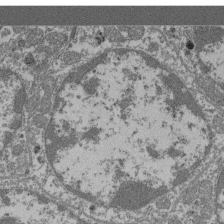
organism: Mouse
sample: Glomerulus